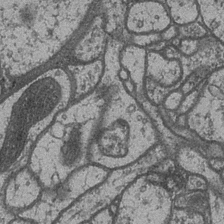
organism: Drosophila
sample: Optic medulla